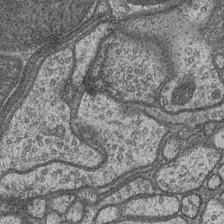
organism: Drosophila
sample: Optic medulla